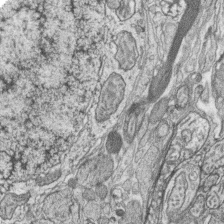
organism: Zebrafish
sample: synaptic ribbons in rod cells and cone cells